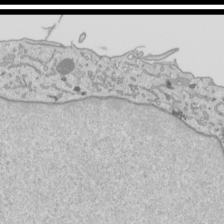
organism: Human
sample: Mitochondria in HCT116 cells